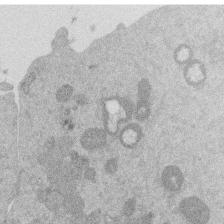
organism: Mouse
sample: Dividing mouse embryo 1 cell stage